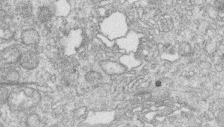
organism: Human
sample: HeLa cell HIV synapse